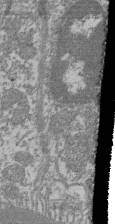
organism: Mouse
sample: Glomerulus